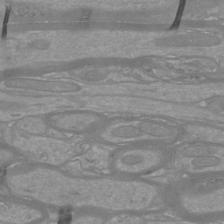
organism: Mouse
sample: Cortical neurons